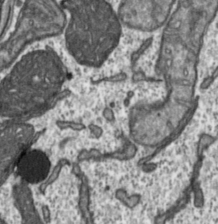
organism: Toxoplasma gondii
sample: Parasites in a vacuole inside a host cell